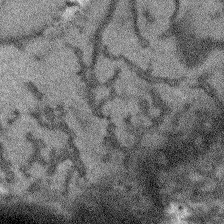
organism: Arabidopsis thaliana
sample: Root tip